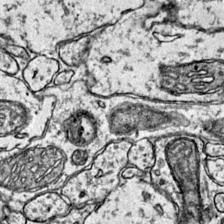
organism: Mouse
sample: Primary visual cortex